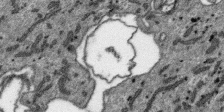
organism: Human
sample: Lung epithelial cells, uninfected (mock) control